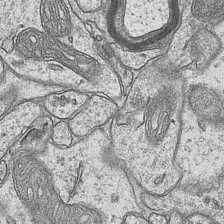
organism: Mouse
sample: CA1 Hippocampus